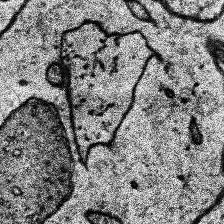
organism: Human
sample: Temporal Lobe